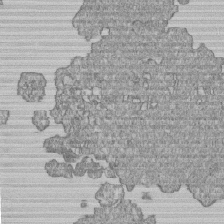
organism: Human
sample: MDA-MB-231 cells